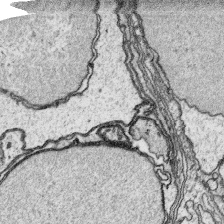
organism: Platynereis dumerilii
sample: Parapodia